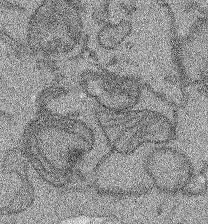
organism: Human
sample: HeLa cells